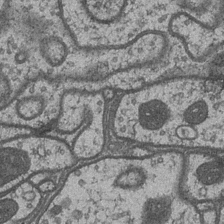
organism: Drosophila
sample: Optic medulla